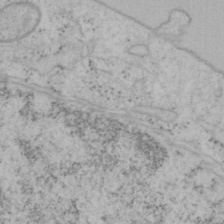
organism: Human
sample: HeLa cells